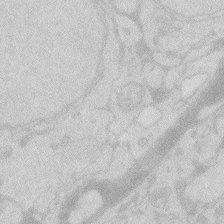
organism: Zebrafish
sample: Macrophage